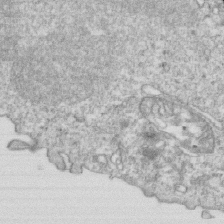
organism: Mouse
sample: Activated OT-1 CD8+ T cells